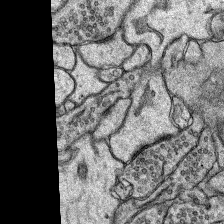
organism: Rat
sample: Hippocampus